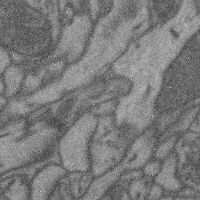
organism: Mouse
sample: Cerebral cortex